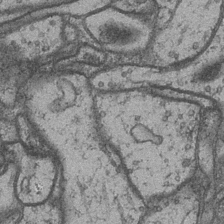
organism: Drosophila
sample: Optic medulla